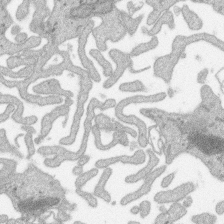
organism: Human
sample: Lung epithelial cells infected with SARS-CoV-2